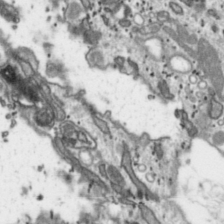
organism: Toxoplasma gondii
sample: Parasites in a vacuole inside a host cell